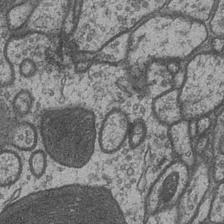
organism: Drosophila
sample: Optic medulla